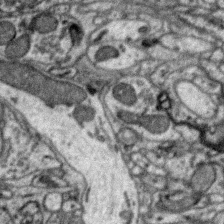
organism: Zebra finch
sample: Brain